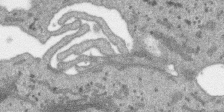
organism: Human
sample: Lung epithelial cells infected with SARS-CoV-2